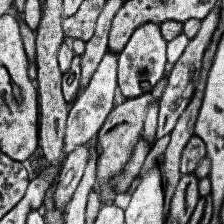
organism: Human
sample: Temporal Lobe